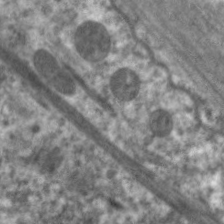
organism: C. elegans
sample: Pharynx